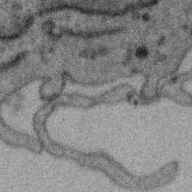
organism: Zebra finch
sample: Brain